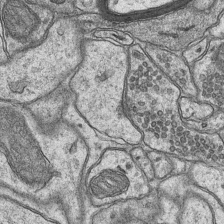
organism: Mouse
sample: CA1 Hippocampus